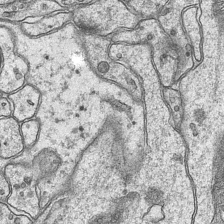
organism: Mouse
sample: CA1 Hippocampus